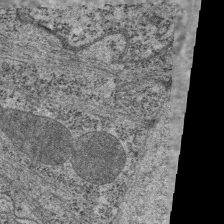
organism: C. elegans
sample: Pharynx